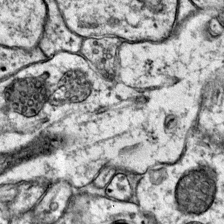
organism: Mouse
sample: Primary visual cortex